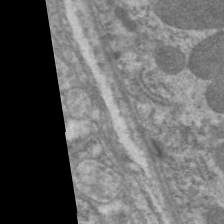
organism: C. elegans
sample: Pharynx